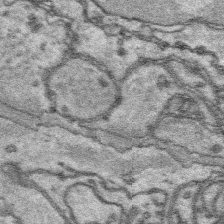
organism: Platynereis dumerilii